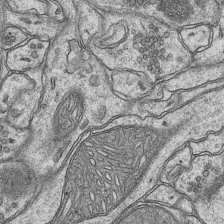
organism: Mouse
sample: CA1 Hippocampus